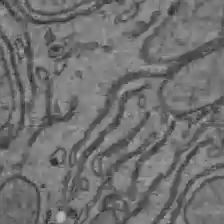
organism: C57BL Mouse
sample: Liver